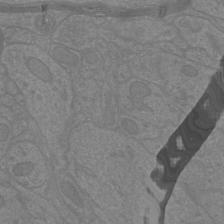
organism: Mouse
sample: Cortical neurons